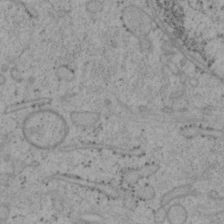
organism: Human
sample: HeLa cells